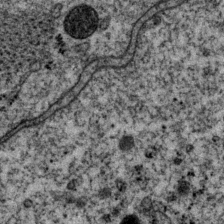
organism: P. pacificus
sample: Pharynx